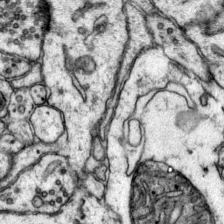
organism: Mouse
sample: Primary visual cortex